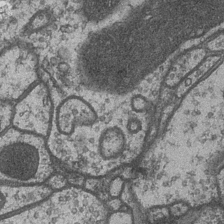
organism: Drosophila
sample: Optic medulla